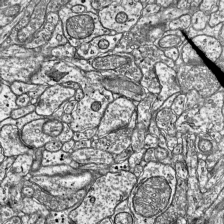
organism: Mouse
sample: Visual Cortex